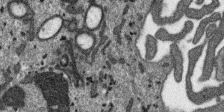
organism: Human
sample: Lung epithelial cells infected with SARS-CoV-2